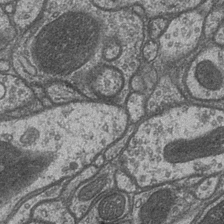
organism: Drosophila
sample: Optic medulla